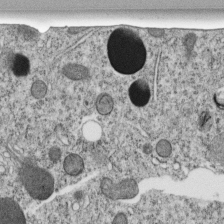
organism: C. elegans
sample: C. elegans embryo early stage